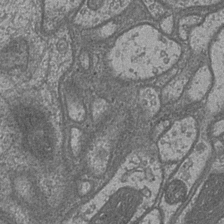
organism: Drosophila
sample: Optic medulla